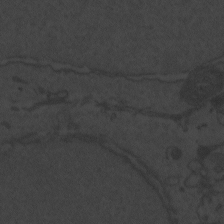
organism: Zebrafish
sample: Macrophage infected with Toxoplasma gondii